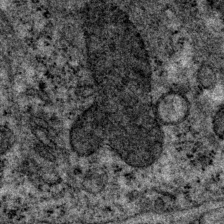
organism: P. pacificus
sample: Pharynx